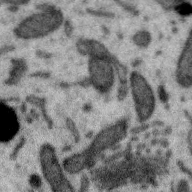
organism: Zebra finch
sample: Brain